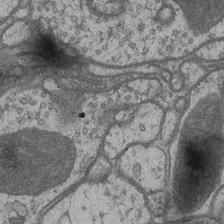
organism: Drosophila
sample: Optic medulla